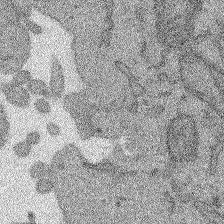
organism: Human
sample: HeLa cells